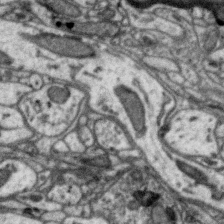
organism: Zebra finch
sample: Brain